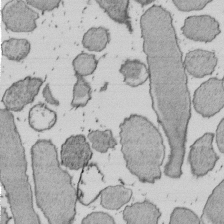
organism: E. coli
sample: Bacterial nucleoid